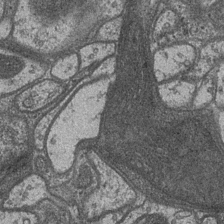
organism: Drosophila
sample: Optic medulla